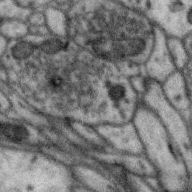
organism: Zebra finch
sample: Brain